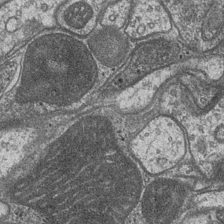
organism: Drosophila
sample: Optic medulla